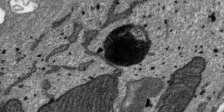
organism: Human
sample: Lung epithelial cells, uninfected (mock) control